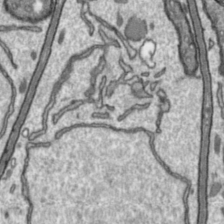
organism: Toxoplasma gondii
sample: Parasites in a vacuole inside a host cell